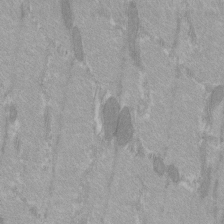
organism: C57BL Mouse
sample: Tibialis anterior muscle cell